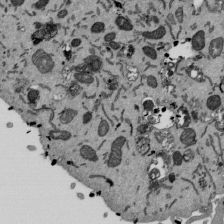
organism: Mouse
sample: ED-1 cell nuclei; centrioles